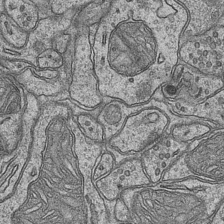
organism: Mouse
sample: CA1 Hippocampus